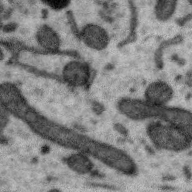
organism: Zebra finch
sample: Brain